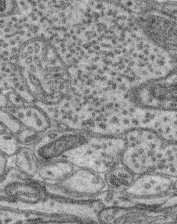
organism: Mouse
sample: Retina